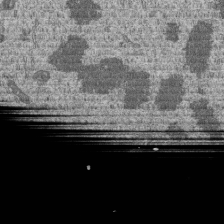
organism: Human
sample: MDA-MB-231 cells